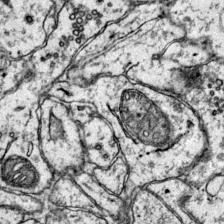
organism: Mouse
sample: Primary visual cortex